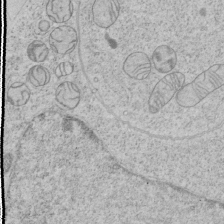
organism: Human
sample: Mitochondria in HCT116 cells